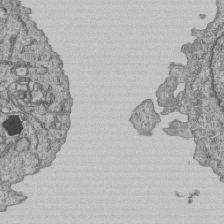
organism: Human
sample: MDA-MB-231 cells